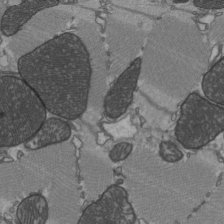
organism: C57BL Mouse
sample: Heart